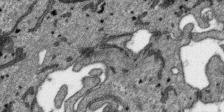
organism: Human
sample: Lung epithelial cells, uninfected (mock) control